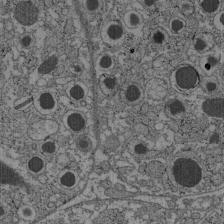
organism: C57BL Mouse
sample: Pancreatic islet